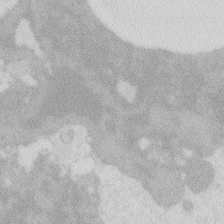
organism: Zebrafish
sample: Macrophage